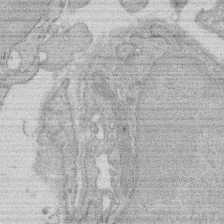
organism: Rat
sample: Salivary granule